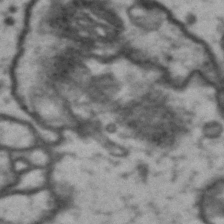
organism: Drosophila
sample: Brain